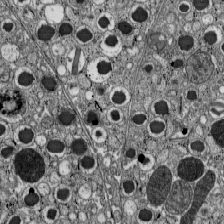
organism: C57BL Mouse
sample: Pancreatic islet